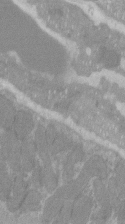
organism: C57BL Mouse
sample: Tibialis anterior muscle cell